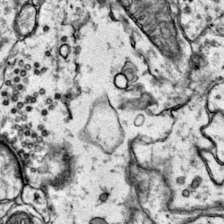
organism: Mouse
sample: Primary visual cortex